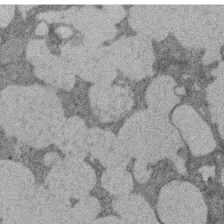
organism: Rat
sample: Salivary granule